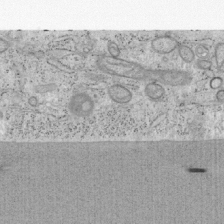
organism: Human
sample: HeLa cells